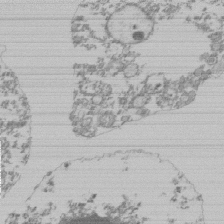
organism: Mouse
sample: Activated Pmel transgenic CD8+ T Cells